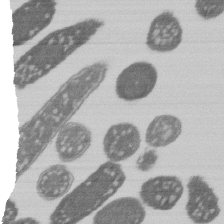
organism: E. coli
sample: Bacterial nucleoid